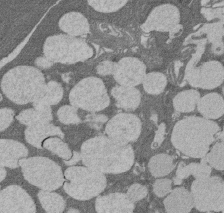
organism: Rat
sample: Salivary granule